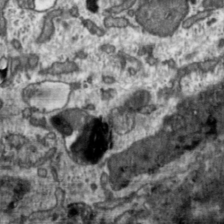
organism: Toxoplasma gondii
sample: Parasites in a vacuole inside a host cell